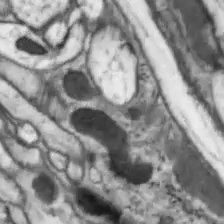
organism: Drosophila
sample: Optic lobe